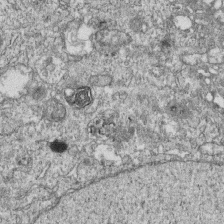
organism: Human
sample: HeLa cell HIV synapse